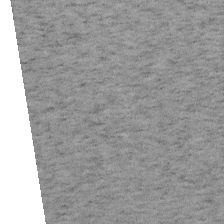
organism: Mouse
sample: OT-I killer T cells with ID8 ovarian cancer cells